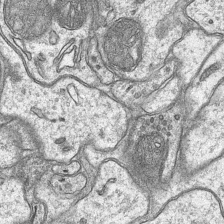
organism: Mouse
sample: CA1 Hippocampus